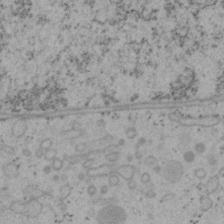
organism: Human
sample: HeLa cells